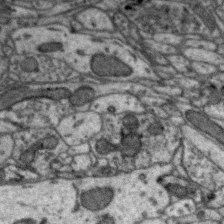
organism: Zebra finch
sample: Brain